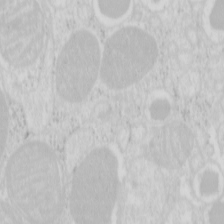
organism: Mouse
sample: Pancreas